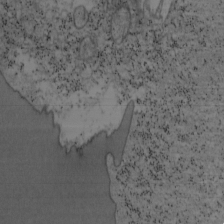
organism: Mouse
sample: OT-I killer T cells with ID8 ovarian cancer cells